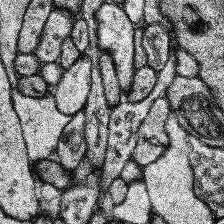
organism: Human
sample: Temporal Lobe